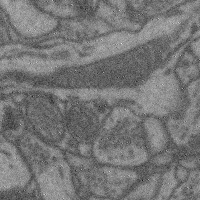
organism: Mouse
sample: Cerebral cortex